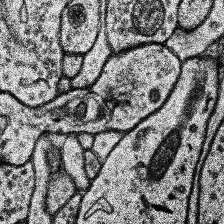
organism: Human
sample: Temporal Lobe